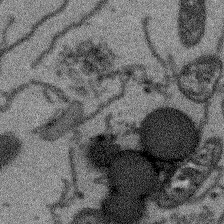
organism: Arabidopsis thaliana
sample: Root tip